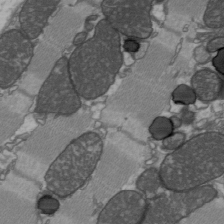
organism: C57BL Mouse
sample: Heart